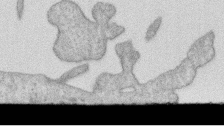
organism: Human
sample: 1205lu cells